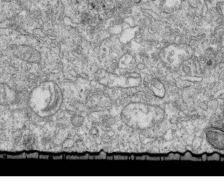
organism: Human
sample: HeLa cell HIV synapse